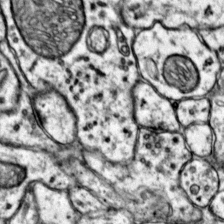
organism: Mouse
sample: Primary visual cortex